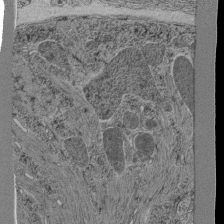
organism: C. elegans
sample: C. elegans pharynx